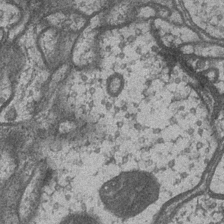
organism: Drosophila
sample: Optic medulla